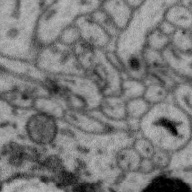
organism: Zebra finch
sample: Brain